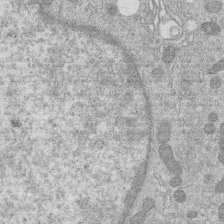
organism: Human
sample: Macrophage cells